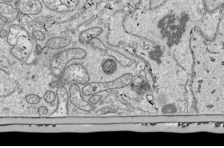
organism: Drosophila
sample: Cell division; meiosis; drosophila spermatocytes